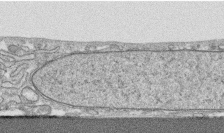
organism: Human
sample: CRL-1474